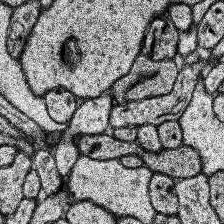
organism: Human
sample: Temporal Lobe